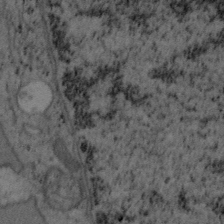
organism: Human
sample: HeLa cells